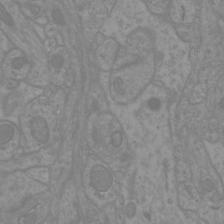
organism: Mouse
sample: Cortical neurons